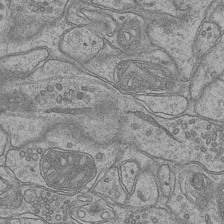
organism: Mouse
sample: CA1 Hippocampus